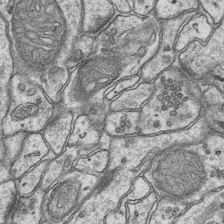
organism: Mouse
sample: CA1 Hippocampus